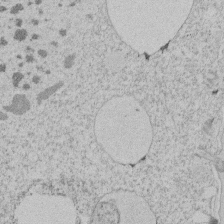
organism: Tetrahymena